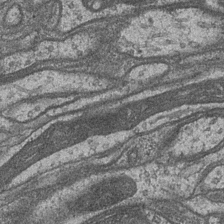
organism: Drosophila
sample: Optic medulla